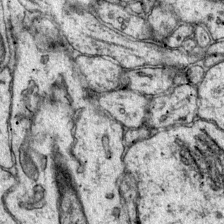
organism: Mouse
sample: Primary visual cortex